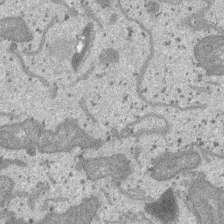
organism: Human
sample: Lung epithelial cells infected with SARS-CoV-2